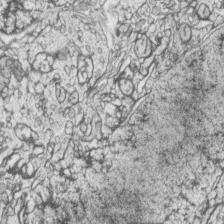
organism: Zebrafish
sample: synaptic ribbons in rod cells and cone cells